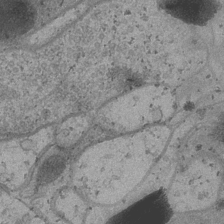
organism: Drosophila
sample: Optic medulla